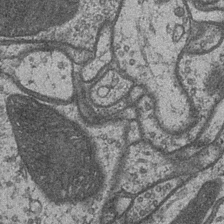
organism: Drosophila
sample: Optic medulla